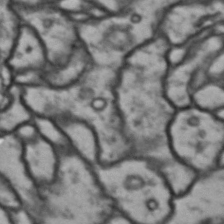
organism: Drosophila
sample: Brain